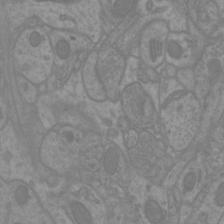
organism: Mouse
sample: Cortical neurons